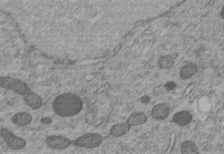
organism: C. elegans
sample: C. elegans embryo early stage